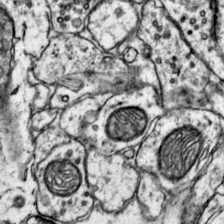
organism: Mouse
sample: Primary visual cortex